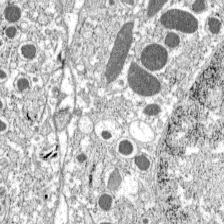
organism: C57BL Mouse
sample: Pancreatic islet